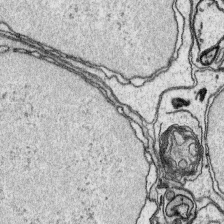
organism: Platynereis dumerilii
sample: Parapodia